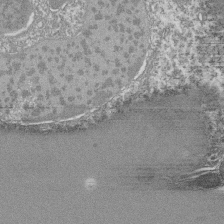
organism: Tetrahymena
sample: Cilia in tetrahymena